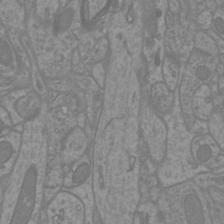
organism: Mouse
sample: Cortical neurons